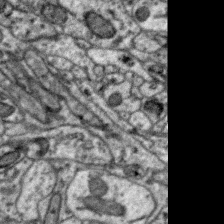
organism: Zebra finch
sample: Brain